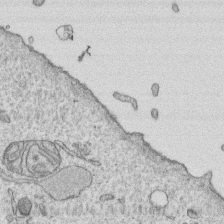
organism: Human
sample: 1205lu cells